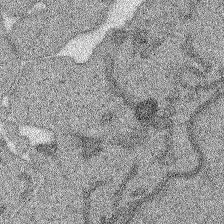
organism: Human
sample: HeLa cells